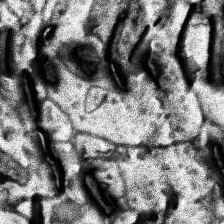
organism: Human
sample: Temporal Lobe